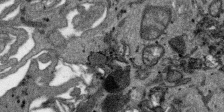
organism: Human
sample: Lung epithelial cells, uninfected (mock) control